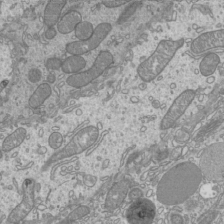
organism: Mouse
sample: Cilia; mouse epididymis